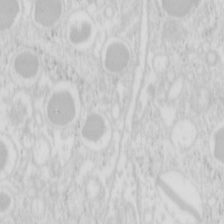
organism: Mouse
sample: Pancreas